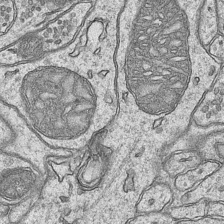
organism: Mouse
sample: CA1 Hippocampus